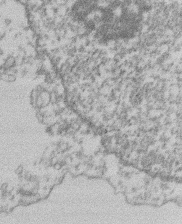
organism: Mouse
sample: T cell stromal cell synapse